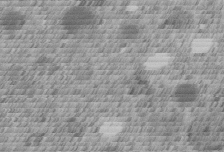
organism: C. elegans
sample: C. elegans embryo early stage